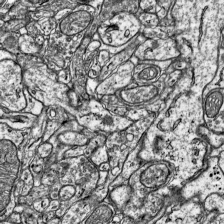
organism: Mouse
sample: Visual Cortex